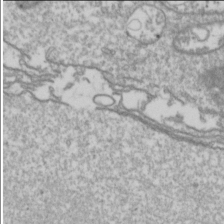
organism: Drosophila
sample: Cell division; meiosis; drosophila spermatocytes